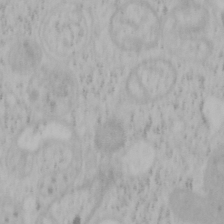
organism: Mouse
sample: OT-I killer T cells with ID8 ovarian cancer cells